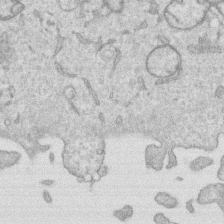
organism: Human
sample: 1205lu cells